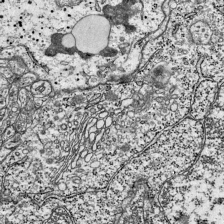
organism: Mouse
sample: Visual Cortex